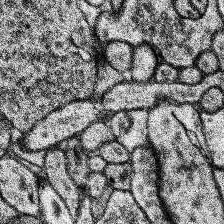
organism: Human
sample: Temporal Lobe